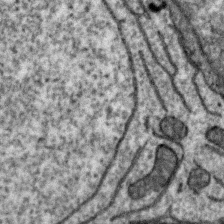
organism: Zebra finch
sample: Brain